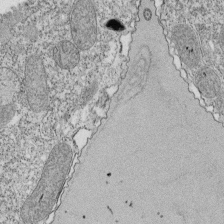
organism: Tetrahymena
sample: Cilia in tetrahymena